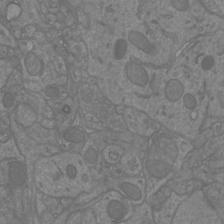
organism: Mouse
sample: Cortical neurons